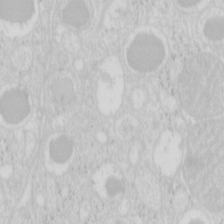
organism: Mouse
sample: Pancreas